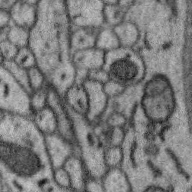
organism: Zebra finch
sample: Brain